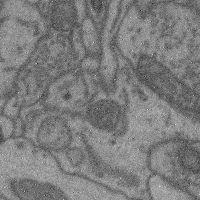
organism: Mouse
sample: Cerebral cortex